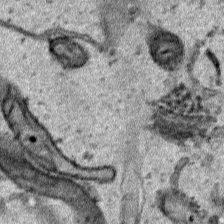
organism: Human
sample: Mitochondria in HCT116 cells